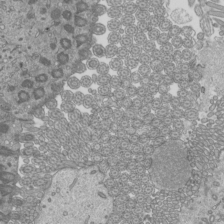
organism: Mouse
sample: Cilia; mouse epididymis